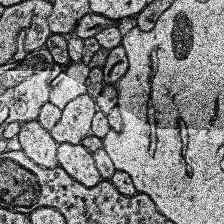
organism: Human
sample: Temporal Lobe